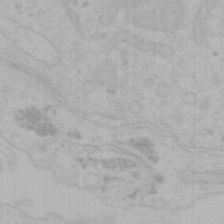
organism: Mouse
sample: Choroid plexus